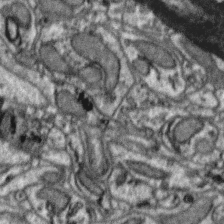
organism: Zebra finch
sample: Brain